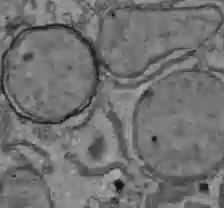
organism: C57BL Mouse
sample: Liver